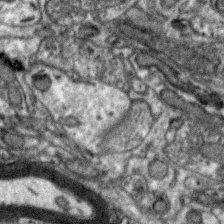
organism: Zebra finch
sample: Brain